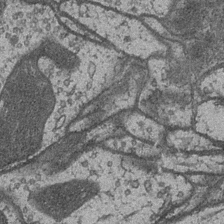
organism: Drosophila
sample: Optic medulla